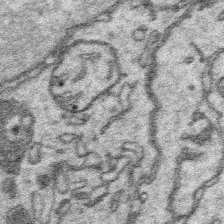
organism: Platynereis dumerilii